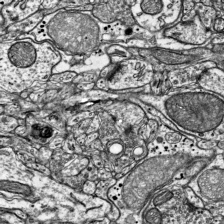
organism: Mouse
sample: Visual Cortex